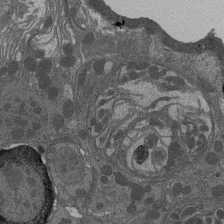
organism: Drosophila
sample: Antenna